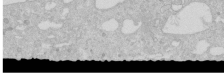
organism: Human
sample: Caco-2 cells